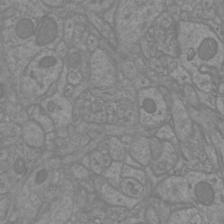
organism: Mouse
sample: Cortical neurons